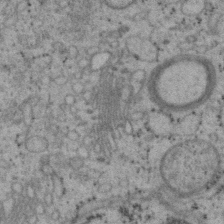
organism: Human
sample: HeLa cells